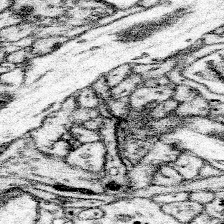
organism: Mouse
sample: Somatosensory cortex neuropil